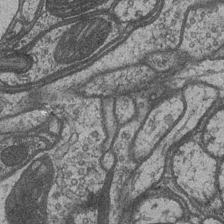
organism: Drosophila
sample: Optic medulla